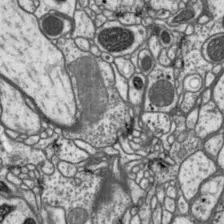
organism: Drosophila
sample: Protocerebral bridge